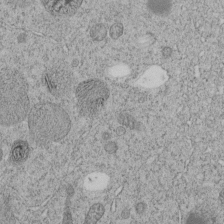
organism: C. elegans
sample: C. elegans embryo early stage